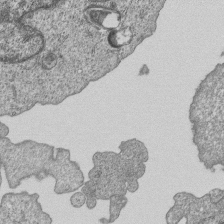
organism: Human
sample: MDA-MB-231 cells